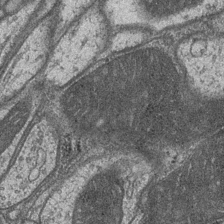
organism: Drosophila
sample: Optic medulla